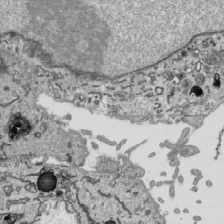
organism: Human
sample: Mitochondria in HCT116 cells